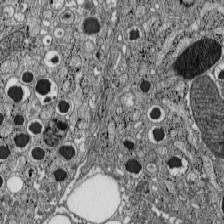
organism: C57BL Mouse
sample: Pancreatic islet